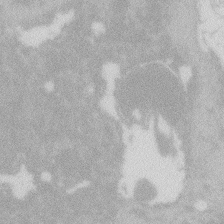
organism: Zebrafish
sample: Macrophage